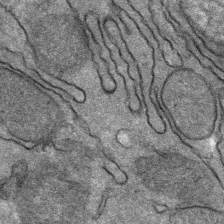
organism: Mouse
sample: Mouse Salivary gland